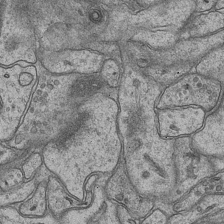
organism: Mouse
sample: CA1 Hippocampus